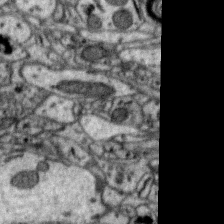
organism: Zebra finch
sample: Brain